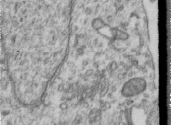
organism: Human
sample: Centriole in RPE cells